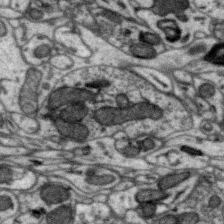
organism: Zebra finch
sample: Brain